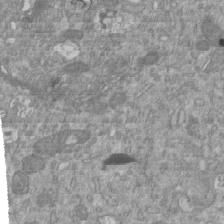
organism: Mouse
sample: ED-1 cell nuclei; centrioles